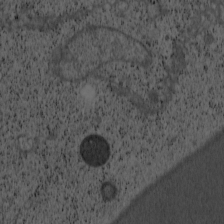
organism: African green monkey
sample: COS-7 cells